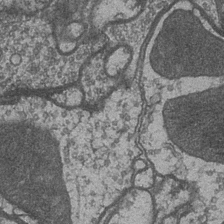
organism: Drosophila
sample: Optic medulla